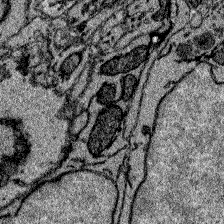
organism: Zebrafish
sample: Larval olfactory bulb